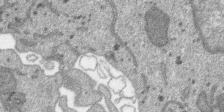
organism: Human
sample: Lung epithelial cells infected with SARS-CoV-2